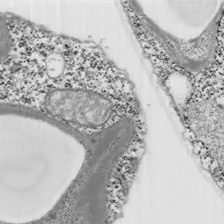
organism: Chlamydomonas reinhardtii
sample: Whole Cell